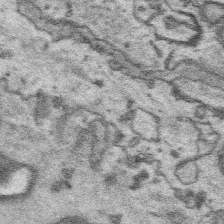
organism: Platynereis dumerilii